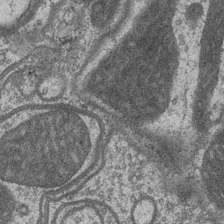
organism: Drosophila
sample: Optic medulla